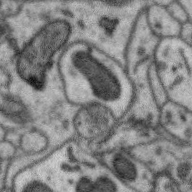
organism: Zebra finch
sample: Brain